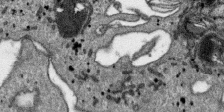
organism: Human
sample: Lung epithelial cells, uninfected (mock) control